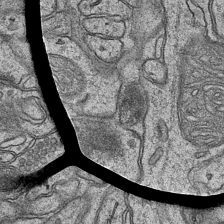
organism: Mouse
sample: CA1 Hippocampus